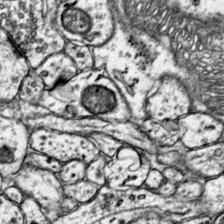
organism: Mouse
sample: Primary visual cortex